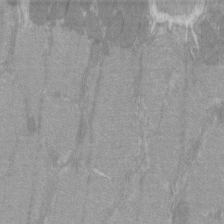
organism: C57BL Mouse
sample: Tibialis anterior muscle cell